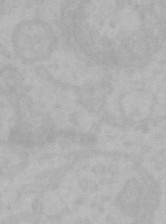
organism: Mouse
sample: Choroid plexus